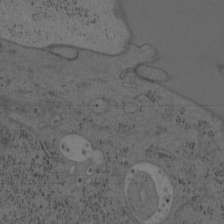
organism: Mouse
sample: OT-I killer T cells with ID8 ovarian cancer cells